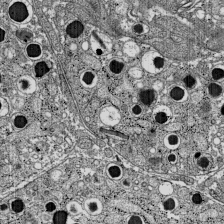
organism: C57BL Mouse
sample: Pancreatic islet